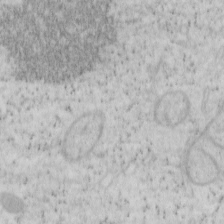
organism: Human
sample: HeLa cells